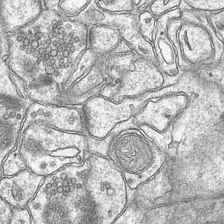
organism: Mouse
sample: CA1 Hippocampus